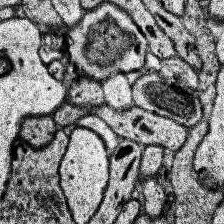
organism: Human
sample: Temporal Lobe